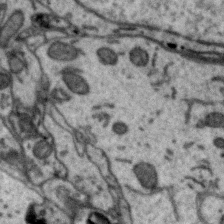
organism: Zebra finch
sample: Brain